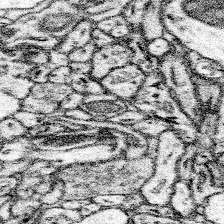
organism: Mouse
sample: Somatosensory cortex neuropil